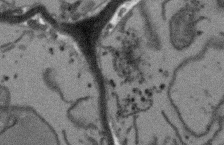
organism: Arabidopsis thaliana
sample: Root tip